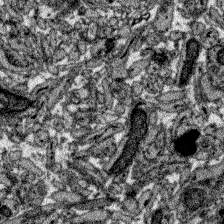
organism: Zebrafish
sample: Larval olfactory bulb